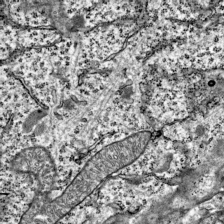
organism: Mouse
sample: Visual Cortex